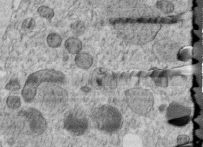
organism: C. elegans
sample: C. elegans embryo early stage